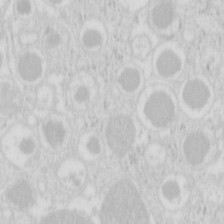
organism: Mouse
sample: Pancreas